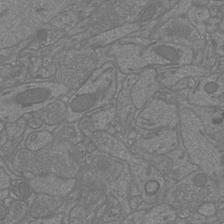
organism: Mouse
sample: Cortical neurons